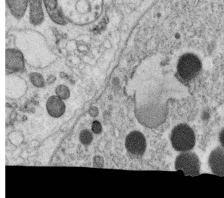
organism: C. elegans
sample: C. elegans oocyte; sperm cells